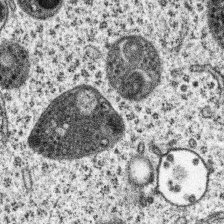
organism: Human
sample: HeLa cells